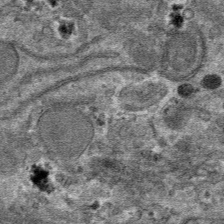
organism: Mouse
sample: Mouse hepatocytes